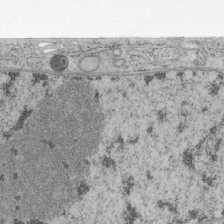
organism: Human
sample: HeLa cells